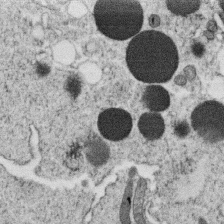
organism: C. elegans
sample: C. elegans oocyte; sperm cells